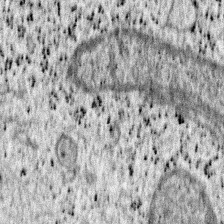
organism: Human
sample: HeLa cells